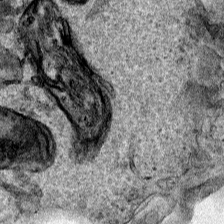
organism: Human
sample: Mitochondria in HCT116 cells